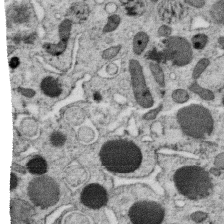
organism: C. elegans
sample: C. elegans oocyte; sperm cells